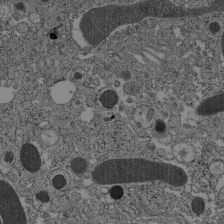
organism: C57BL Mouse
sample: Pancreatic islet